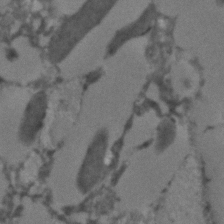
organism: C. elegans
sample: C. elegans embryo